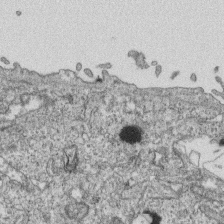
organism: Human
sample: HeLa cell HIV synapse